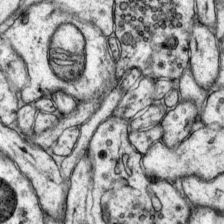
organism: Mouse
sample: Primary visual cortex